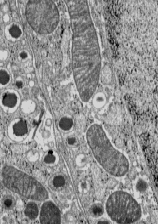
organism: C57BL Mouse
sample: Pancreatic islet